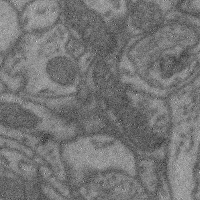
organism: Mouse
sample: Cerebral cortex